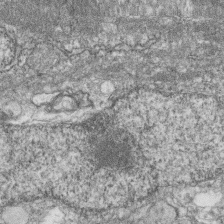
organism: Zebrafish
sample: Cilia; retinal pigment epithelium